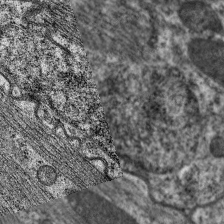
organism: C. elegans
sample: Pharynx